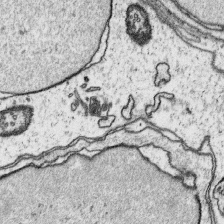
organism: Platynereis dumerilii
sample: Parapodia